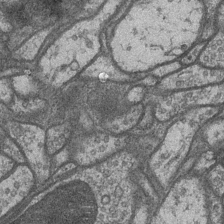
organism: Drosophila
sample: Optic medulla